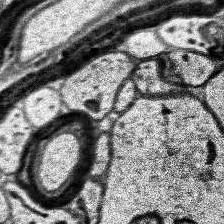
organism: Human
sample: Temporal Lobe